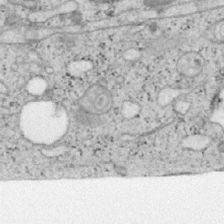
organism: Mouse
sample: OT-I killer T cells with ID8 ovarian cancer cells